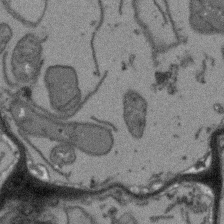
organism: Arabidopsis thaliana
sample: Root tip